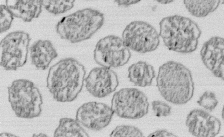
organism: E. coli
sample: Bacterial nucleoid